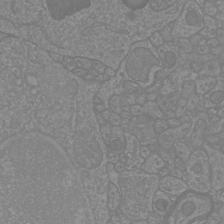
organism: Mouse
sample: Cortical neurons